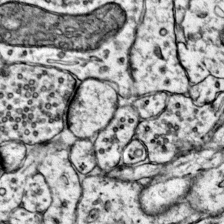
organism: Mouse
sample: Primary visual cortex